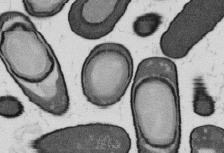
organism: B. subtilis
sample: Bacterial spore